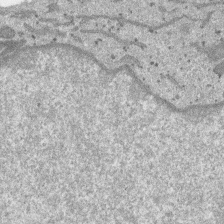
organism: Human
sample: Lung epithelial cells infected with SARS-CoV-2